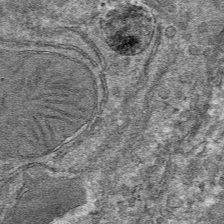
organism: Mouse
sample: Mouse hepatocytes